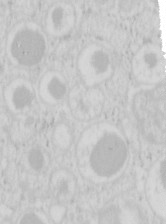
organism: Mouse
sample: Pancreas